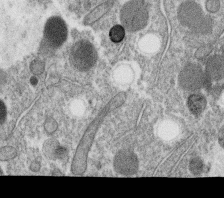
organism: C. elegans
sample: C. elegans oocyte; sperm cells